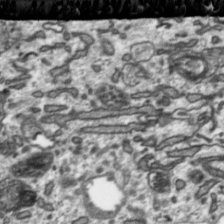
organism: Toxoplasma gondii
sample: Parasites in a vacuole inside a host cell